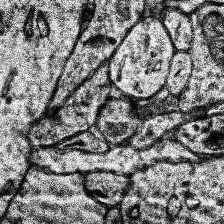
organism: Human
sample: Temporal Lobe